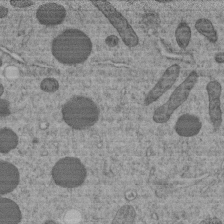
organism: C. elegans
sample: C. elegans embryo early stage